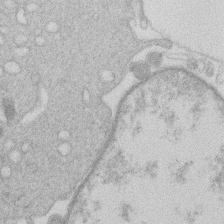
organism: Human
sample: Macrophage cells